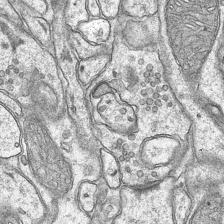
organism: Mouse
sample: CA1 Hippocampus